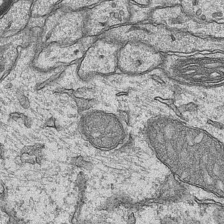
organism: Mouse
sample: CA1 Hippocampus